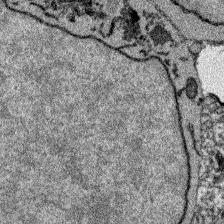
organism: Zebrafish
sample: Larval olfactory bulb